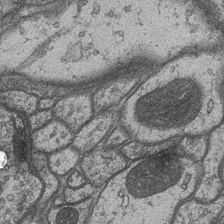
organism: Drosophila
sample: Optic medulla